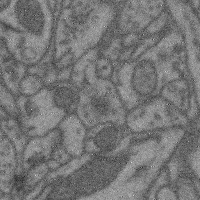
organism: Mouse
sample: Cerebral cortex